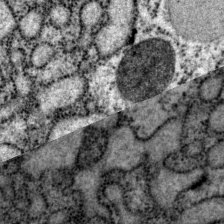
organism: P. pacificus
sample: Pharynx